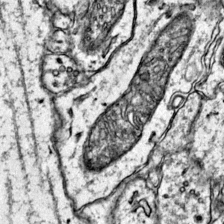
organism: Mouse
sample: Primary visual cortex